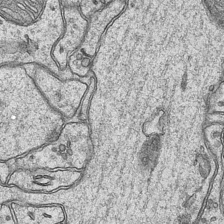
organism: Mouse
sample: CA1 Hippocampus